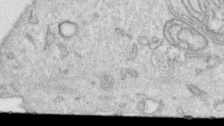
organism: Human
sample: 1205lu cells